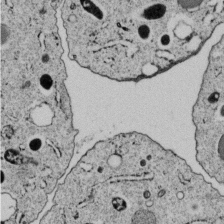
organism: C. elegans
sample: C. elegans embryo early stage